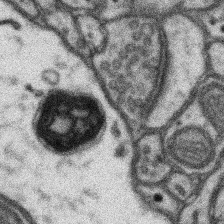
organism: Mouse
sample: Somatosensory cortex neuropil